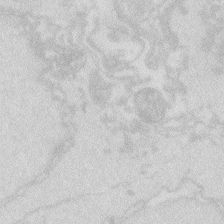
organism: Zebrafish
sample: Macrophage